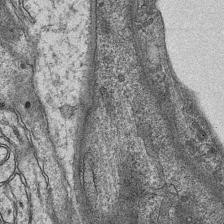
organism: Mouse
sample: CA1 Hippocampus